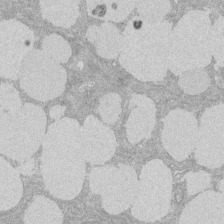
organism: Rat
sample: Salivary granule